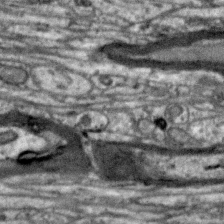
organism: Zebra finch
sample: Brain